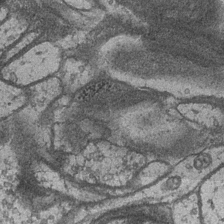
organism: Drosophila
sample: Optic medulla